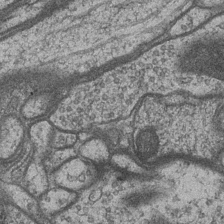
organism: Drosophila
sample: Optic medulla